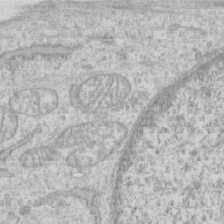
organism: Human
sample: CRL-1474